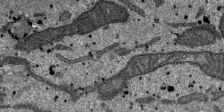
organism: Human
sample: Lung epithelial cells, uninfected (mock) control